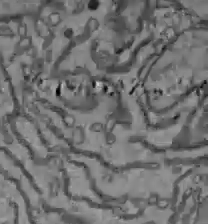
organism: C57BL Mouse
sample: Liver